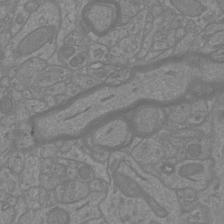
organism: Mouse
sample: Cortical neurons